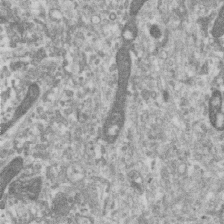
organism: Human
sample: Centriole in RPE cells